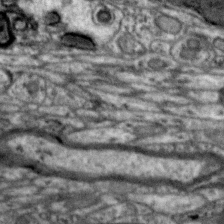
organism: Zebra finch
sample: Brain